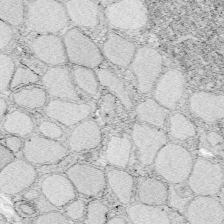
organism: Zebrafish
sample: Whole-Brain